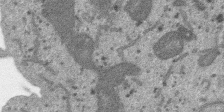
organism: Human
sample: Lung epithelial cells infected with SARS-CoV-2